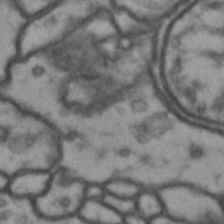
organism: Drosophila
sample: Brain